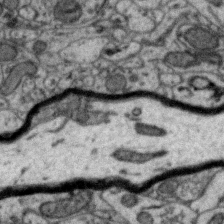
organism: Zebra finch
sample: Brain